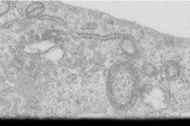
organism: Human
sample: Centriole in RPE cells